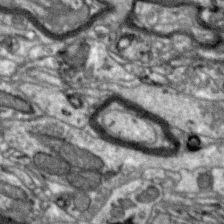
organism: Zebra finch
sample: Brain